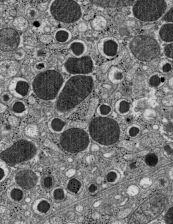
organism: C57BL Mouse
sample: Pancreatic islet